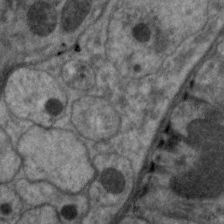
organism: C. elegans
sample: Pharynx